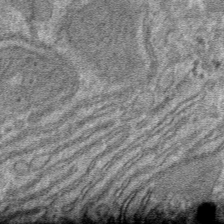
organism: Mouse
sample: Mouse hepatocytes